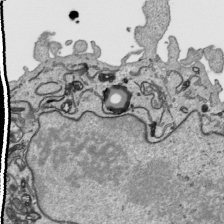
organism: Human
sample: Mitochondria in HCT116 cells